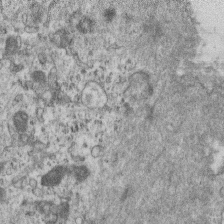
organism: Mouse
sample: Centriole in ependymal cells